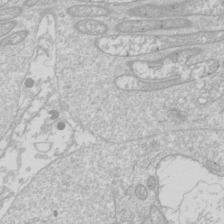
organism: Drosophila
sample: Cell division; meiosis; drosophila spermatocytes